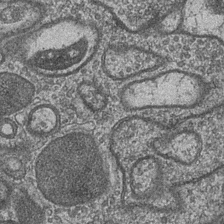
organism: Drosophila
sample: Optic medulla